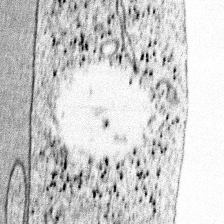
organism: Human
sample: HeLa cells